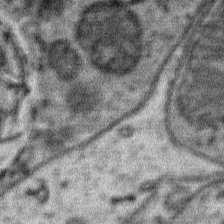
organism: Mouse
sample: Mouse Salivary gland